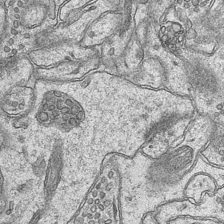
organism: Mouse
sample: CA1 Hippocampus